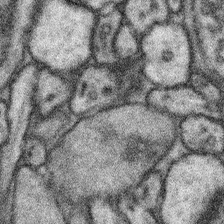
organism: Mouse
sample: Somatosensory cortex neuropil